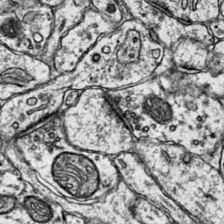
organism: Mouse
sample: Primary visual cortex